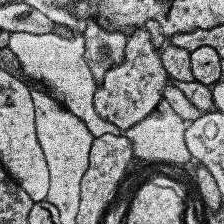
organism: Human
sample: Temporal Lobe